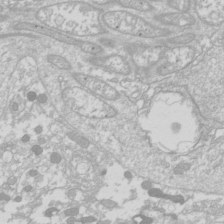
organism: Drosophila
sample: Cell division; meiosis; drosophila spermatocytes